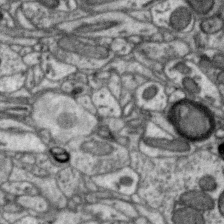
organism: Zebra finch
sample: Brain